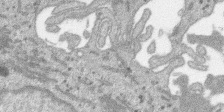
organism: Human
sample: Lung epithelial cells infected with SARS-CoV-2